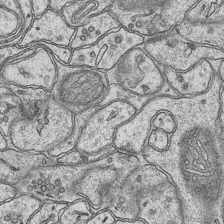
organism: Mouse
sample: CA1 Hippocampus